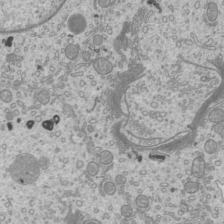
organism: Mouse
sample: Cilia; mouse epididymis